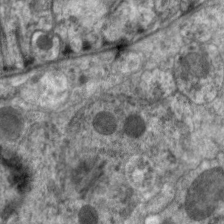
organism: C. elegans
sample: Pharynx